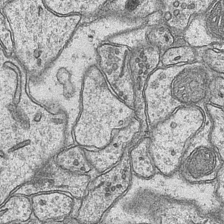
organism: Mouse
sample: CA1 Hippocampus